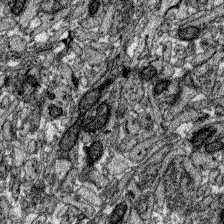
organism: Zebrafish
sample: Larval olfactory bulb